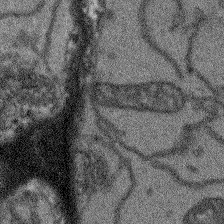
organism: Arabidopsis thaliana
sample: Root tip